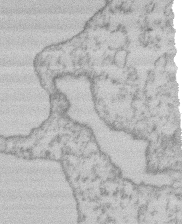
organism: Mouse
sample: T cell stromal cell synapse